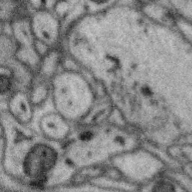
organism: Zebra finch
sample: Brain